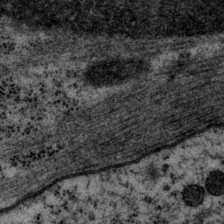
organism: P. pacificus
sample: Pharynx